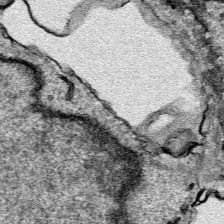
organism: Human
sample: Mitochondria in HCT116 cells